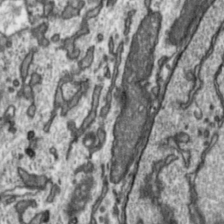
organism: Toxoplasma gondii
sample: Parasites in a vacuole inside a host cell